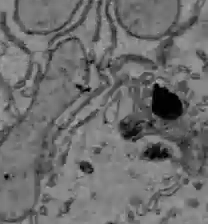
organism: C57BL Mouse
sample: Liver